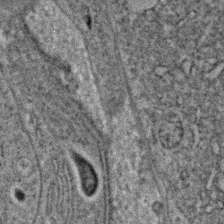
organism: C. elegans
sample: C. elegans embryo